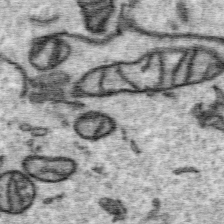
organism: Human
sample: HeLa cells